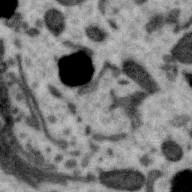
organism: Zebra finch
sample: Brain